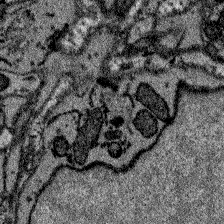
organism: Zebrafish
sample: Larval olfactory bulb